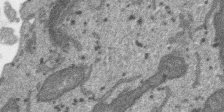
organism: Human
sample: Lung epithelial cells infected with SARS-CoV-2